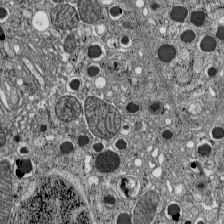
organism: C57BL Mouse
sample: Pancreatic islet